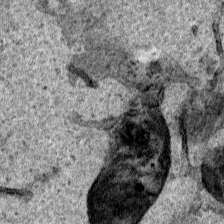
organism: Human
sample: Mitochondria in HCT116 cells